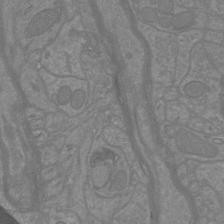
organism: Mouse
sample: Cortical neurons